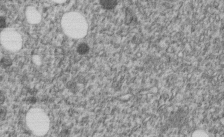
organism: C. elegans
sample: C. elegans embryo early stage